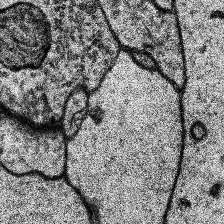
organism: Human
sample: Temporal Lobe